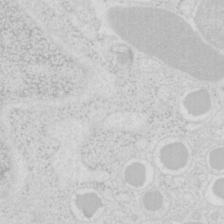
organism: Mouse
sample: Pancreas